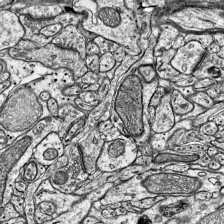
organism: Mouse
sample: Visual Cortex